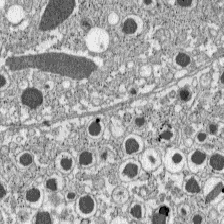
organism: C57BL Mouse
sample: Pancreatic islet